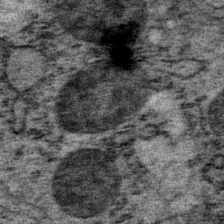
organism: P. pacificus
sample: Pharynx